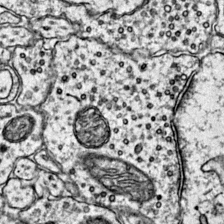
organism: Mouse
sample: Primary visual cortex